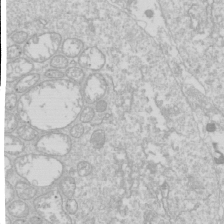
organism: Drosophila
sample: Cell division; meiosis; drosophila spermatocytes